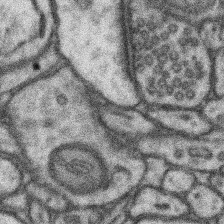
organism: Mouse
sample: Somatosensory cortex neuropil